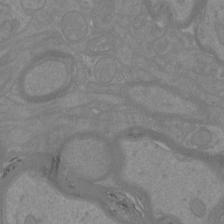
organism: Mouse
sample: Cortical neurons